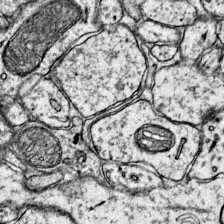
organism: Mouse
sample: Primary visual cortex